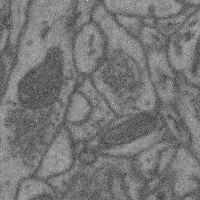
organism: Mouse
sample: Cerebral cortex